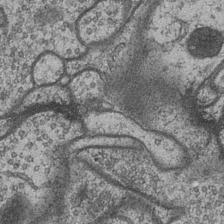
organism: Drosophila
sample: Optic medulla